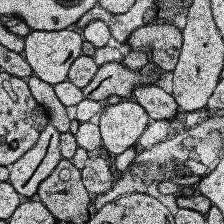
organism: Human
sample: Temporal Lobe